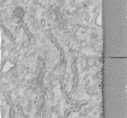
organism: Human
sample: Centriole in fibroblast cells